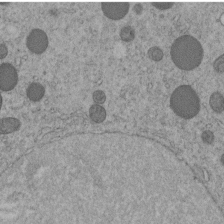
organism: C. elegans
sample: C. elegans embryo early stage